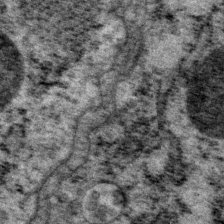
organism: P. pacificus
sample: Pharynx